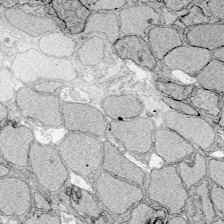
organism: Zebrafish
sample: Whole-Brain